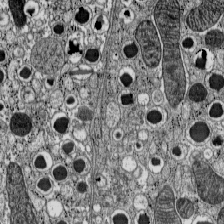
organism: C57BL Mouse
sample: Pancreatic islet